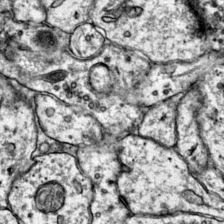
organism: Mouse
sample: Primary visual cortex